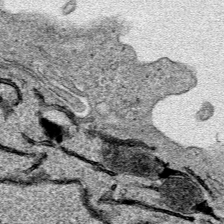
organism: Human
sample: Mitochondria in HCT116 cells